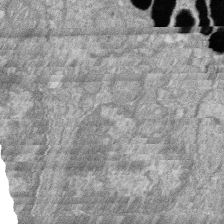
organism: Zebrafish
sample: Cilia; retinal pigment epithelium